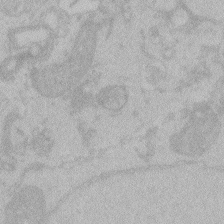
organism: Zebrafish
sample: Macrophage infected with Toxoplasma gondii